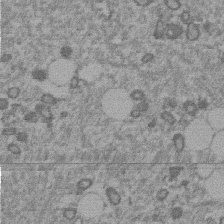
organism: Mouse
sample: Dividing mouse embryo 1 cell stage